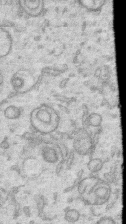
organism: Human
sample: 1205lu cells